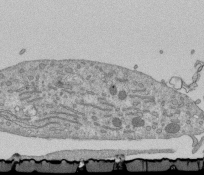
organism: Mouse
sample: ED-1 cell nuclei; centrioles